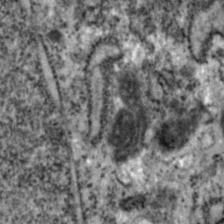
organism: Zebrafish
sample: Zebrafish embryo